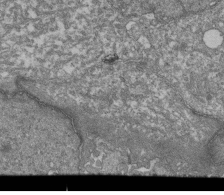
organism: Human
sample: Retinal organoid Rod and Cone cells